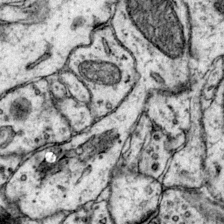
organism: Mouse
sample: Primary visual cortex